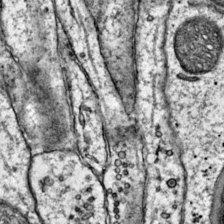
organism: Mouse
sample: Primary visual cortex